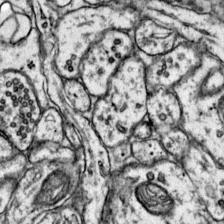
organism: Mouse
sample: Primary visual cortex